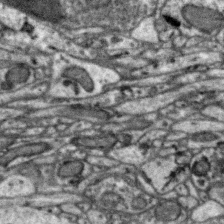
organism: Zebra finch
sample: Brain